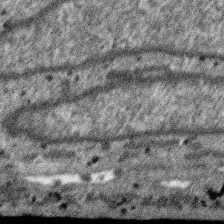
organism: Human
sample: Lung epithelial cells infected with SARS-CoV-2